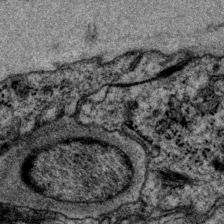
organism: P. pacificus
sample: Pharynx